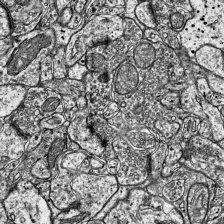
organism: Mouse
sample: Visual Cortex